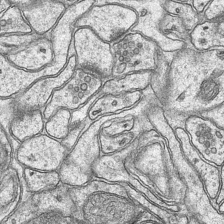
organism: Mouse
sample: CA1 Hippocampus